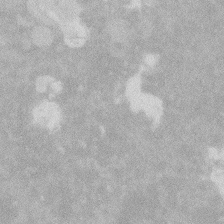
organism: Zebrafish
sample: Macrophage